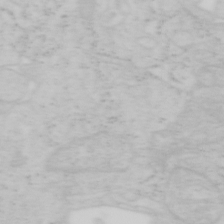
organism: Mouse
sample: OT-I killer T cells with ID8 ovarian cancer cells